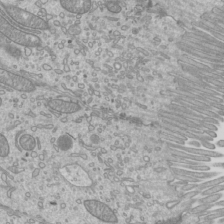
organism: Mouse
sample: Cilia; mouse epididymis